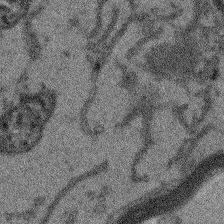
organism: Arabidopsis thaliana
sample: Root tip